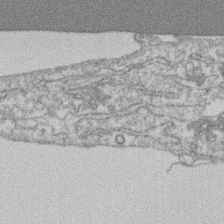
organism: Mouse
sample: T cell stromal cell synapse